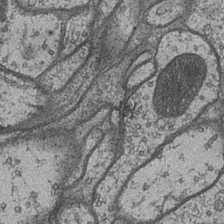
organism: Drosophila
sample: Optic medulla